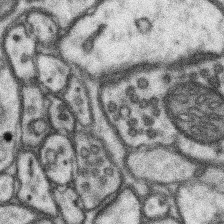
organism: Mouse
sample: Somatosensory cortex neuropil